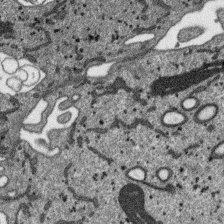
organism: Human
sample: Lung epithelial cells infected with SARS-CoV-2